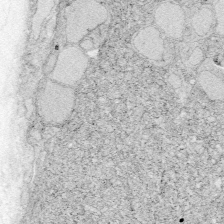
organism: Zebrafish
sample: Whole-Brain